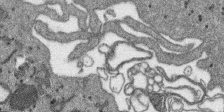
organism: Human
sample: Lung epithelial cells infected with SARS-CoV-2